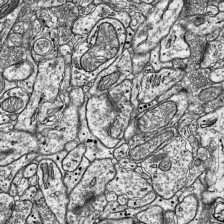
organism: Mouse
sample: Visual Cortex